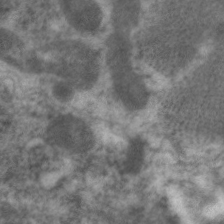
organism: C. elegans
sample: Pharynx